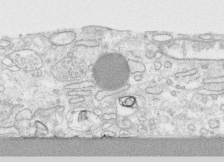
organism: Human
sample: CRL-1474